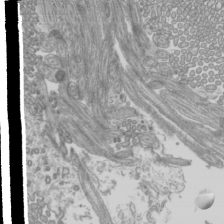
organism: Mouse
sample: Cilia; mouse epididymis